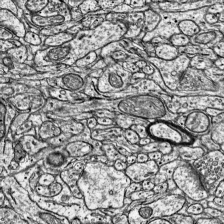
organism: Mouse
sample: Visual Cortex